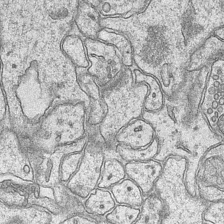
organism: Mouse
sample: CA1 Hippocampus